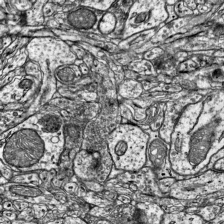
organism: Mouse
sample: Visual Cortex